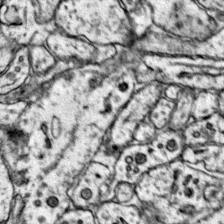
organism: Mouse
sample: Primary visual cortex